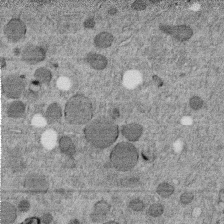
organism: C. elegans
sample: C. elegans embryo early stage